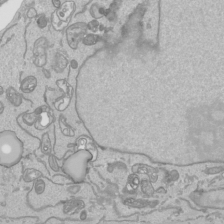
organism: Human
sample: Mitochondria in HCT116 cells